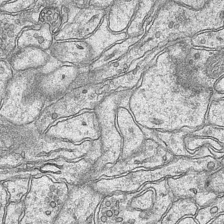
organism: Mouse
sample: CA1 Hippocampus